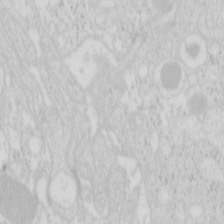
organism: Mouse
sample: Pancreas